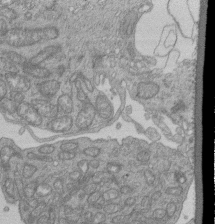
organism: Human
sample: Retinal organoid Rod and Cone cells